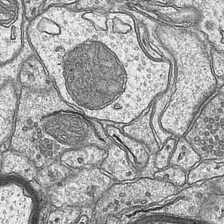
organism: Mouse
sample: CA1 Hippocampus